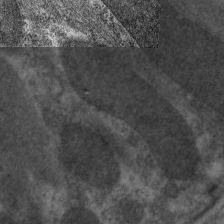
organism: C. elegans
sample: Pharynx